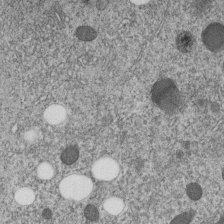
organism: C. elegans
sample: C. elegans embryo early stage